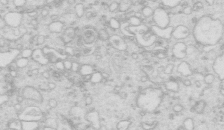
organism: Mouse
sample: Multiciliated cells